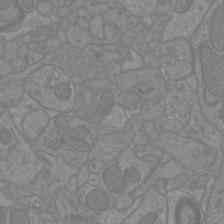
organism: Mouse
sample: Cortical neurons